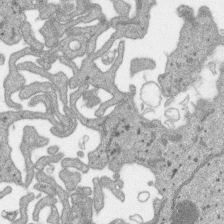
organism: Human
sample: Lung epithelial cells infected with SARS-CoV-2